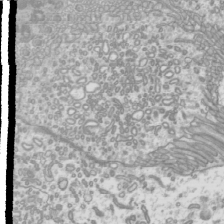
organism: Mouse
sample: Cilia; mouse epididymis